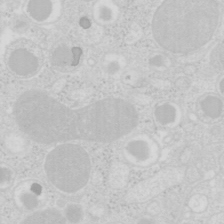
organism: Mouse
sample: Pancreas